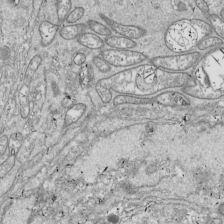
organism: Drosophila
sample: Cell division; meiosis; drosophila spermatocytes